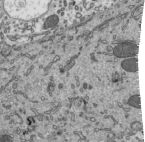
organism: Mouse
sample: Mouse epididymis efferent ductule cilia